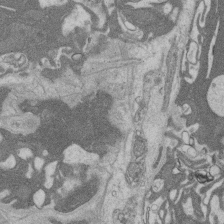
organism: Rat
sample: Salivary granule